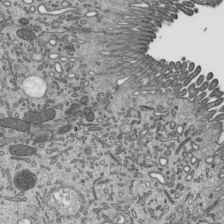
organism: Mouse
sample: Mouse epididymis efferent ductule cilia